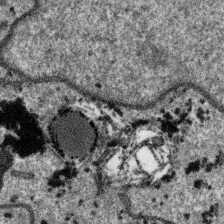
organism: Human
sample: Lung epithelial cells infected with SARS-CoV-2